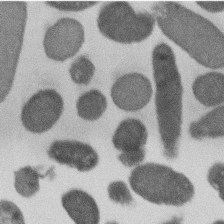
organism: E. coli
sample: Bacterial nucleoid